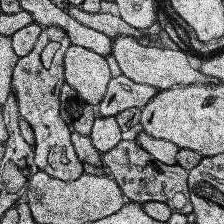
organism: Human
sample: Temporal Lobe